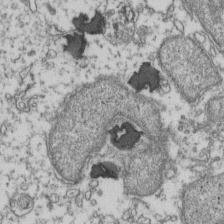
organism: Human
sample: Activated Jurkat CD4+ T cells